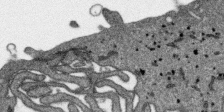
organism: Human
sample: Lung epithelial cells, uninfected (mock) control